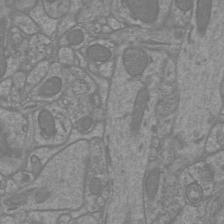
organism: Mouse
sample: Cortical neurons